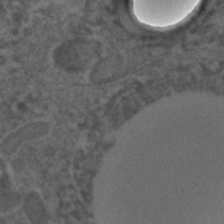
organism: C. elegans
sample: C. elegans embryo